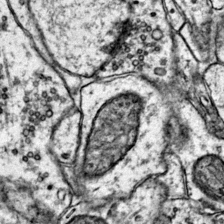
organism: Mouse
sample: Primary visual cortex